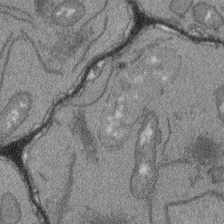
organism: Arabidopsis thaliana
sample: Root tip